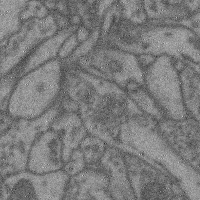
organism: Mouse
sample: Cerebral cortex